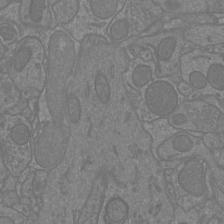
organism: Mouse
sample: Cortical neurons